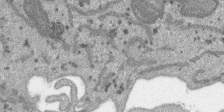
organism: Human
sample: Lung epithelial cells infected with SARS-CoV-2